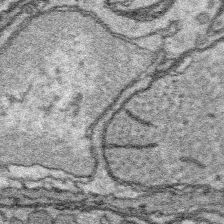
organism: Platynereis dumerilii